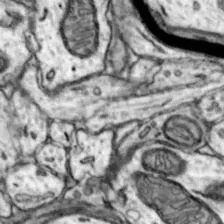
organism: Mouse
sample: Nucleus accumbens